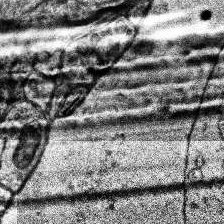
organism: Human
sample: Temporal Lobe